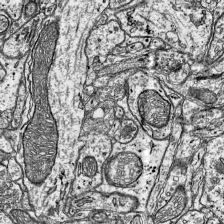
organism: Mouse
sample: Visual Cortex